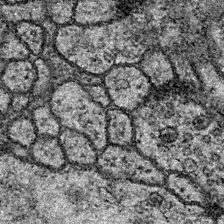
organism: Drosophila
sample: Ventral Nerve Cord